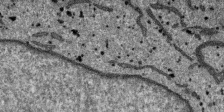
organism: Human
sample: Lung epithelial cells, uninfected (mock) control